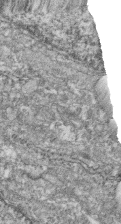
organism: Zebrafish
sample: Cilia; retinal pigment epithelium